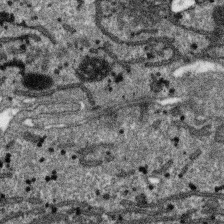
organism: Human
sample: Lung epithelial cells infected with SARS-CoV-2